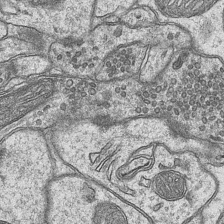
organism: Mouse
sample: CA1 Hippocampus